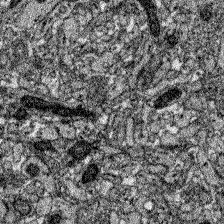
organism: Zebrafish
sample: Larval olfactory bulb